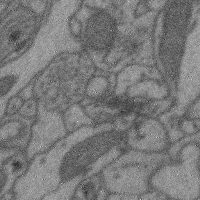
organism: Mouse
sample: Cerebral cortex